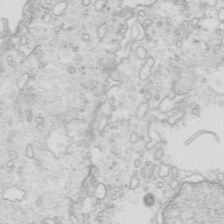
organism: Mouse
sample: Multiciliated cells